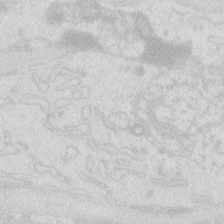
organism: Zebrafish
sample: Macrophage